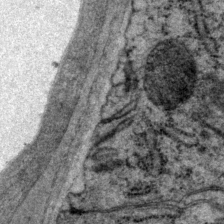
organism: P. pacificus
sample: Pharynx